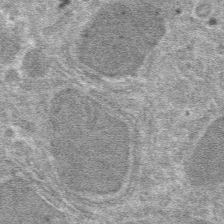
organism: Mouse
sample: Mouse hepatocytes